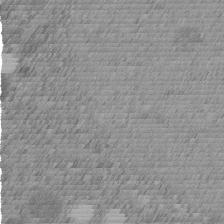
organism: C. elegans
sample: C. elegans embryo early stage